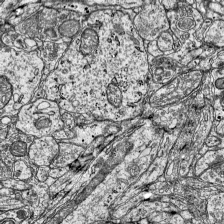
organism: Mouse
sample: Visual Cortex